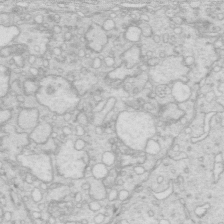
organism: Mouse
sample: Multiciliated cells